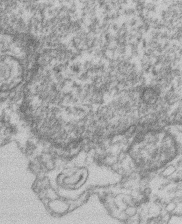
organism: Mouse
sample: T cell stromal cell synapse